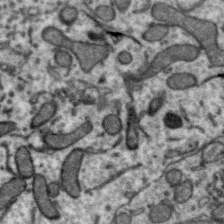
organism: Zebra finch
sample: Brain